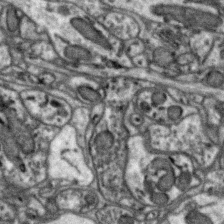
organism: Zebra finch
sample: Brain